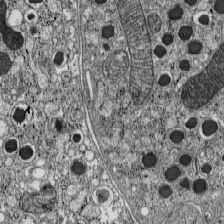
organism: C57BL Mouse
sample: Pancreatic islet